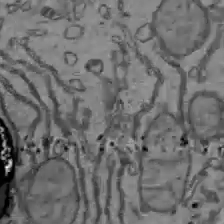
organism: C57BL Mouse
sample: Liver